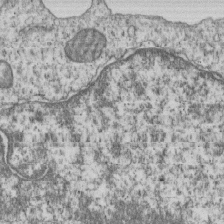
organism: Human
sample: MDA-MB-231 cells